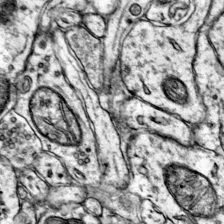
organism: Mouse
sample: Primary visual cortex